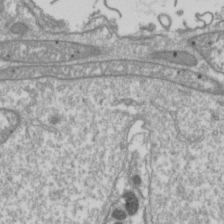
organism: Drosophila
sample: Cell division; meiosis; drosophila spermatocytes